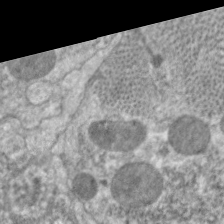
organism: C. elegans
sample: Pharynx